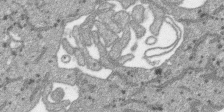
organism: Human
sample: Lung epithelial cells infected with SARS-CoV-2